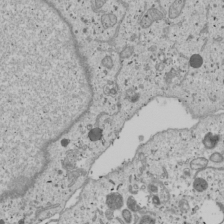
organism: Human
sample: Mitochondria in U2OS cells